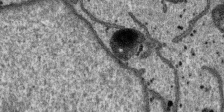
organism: Human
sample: Lung epithelial cells, uninfected (mock) control